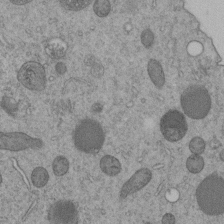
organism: C. elegans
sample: C. elegans embryo early stage